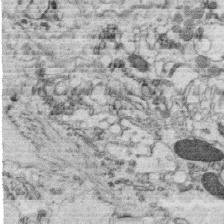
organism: C. elegans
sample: C. elegans oocyte; sperm cells